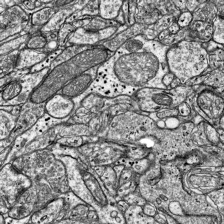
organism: Mouse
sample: Visual Cortex